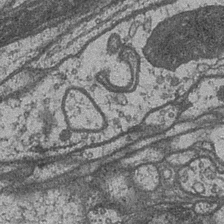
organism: Drosophila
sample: Optic medulla